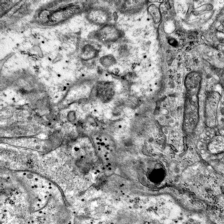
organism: Mouse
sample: Visual Cortex